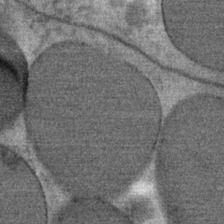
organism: Mouse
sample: Mouse Salivary gland